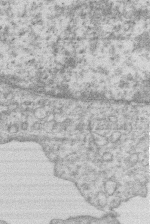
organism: Human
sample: Macrophage cells